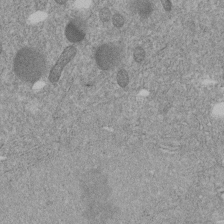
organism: C. elegans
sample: C. elegans embryo early stage